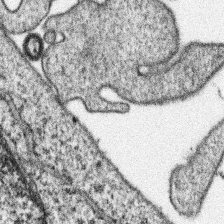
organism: Human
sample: HeLa cells